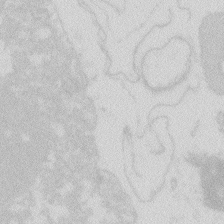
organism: Zebrafish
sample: Macrophage